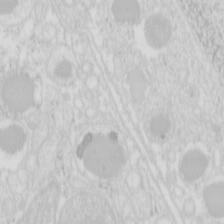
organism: Mouse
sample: Pancreas